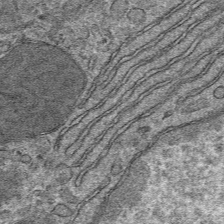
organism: Mouse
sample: Mouse hepatocytes